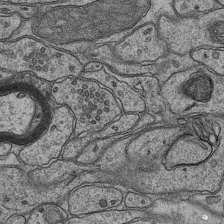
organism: Mouse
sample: CA1 Hippocampus